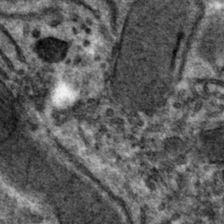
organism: Mouse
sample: Mouse hepatocytes